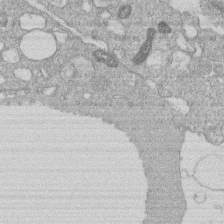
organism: Human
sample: Macrophage cells